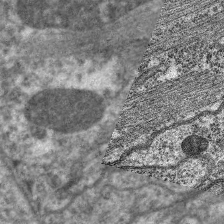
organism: C. elegans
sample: Pharynx